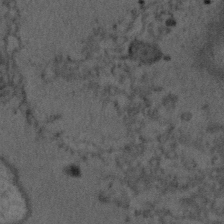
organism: Human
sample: HeLa cells